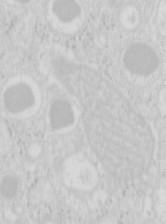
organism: Mouse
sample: Pancreas